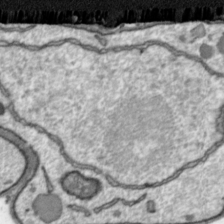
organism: Toxoplasma gondii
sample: Parasites in a vacuole inside a host cell